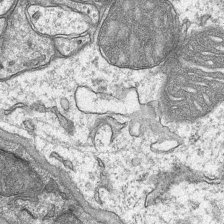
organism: Mouse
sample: CA1 Hippocampus